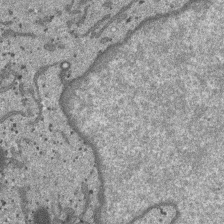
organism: Human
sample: Lung epithelial cells infected with SARS-CoV-2